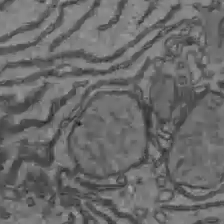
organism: C57BL Mouse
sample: Liver